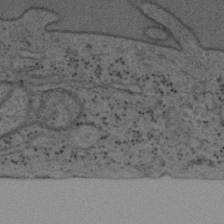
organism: Human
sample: HeLa cells